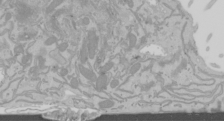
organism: Mouse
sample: Cancer cell death in ED-1 cells